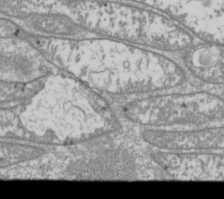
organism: Drosophila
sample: Cell division; meiosis; drosophila spermatocytes